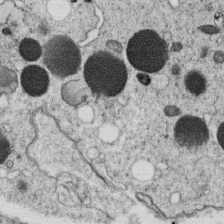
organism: C. elegans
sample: C. elegans oocyte; sperm cells